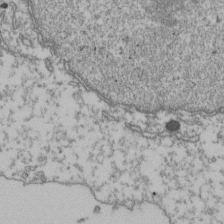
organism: Human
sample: Activated Jurkat CD4+ T cells